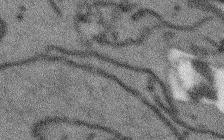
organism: Arabidopsis thaliana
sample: Root tip